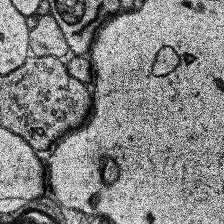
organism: Human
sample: Temporal Lobe